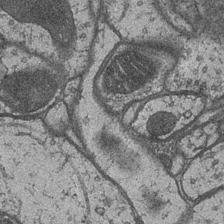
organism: Drosophila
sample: Optic medulla